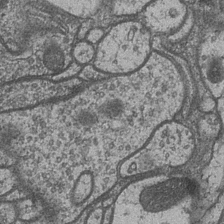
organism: Drosophila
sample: Optic medulla